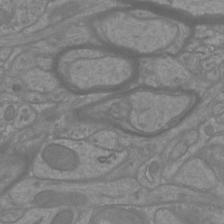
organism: Mouse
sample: Cortical neurons